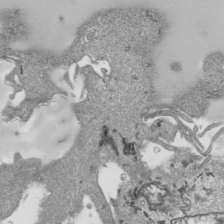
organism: Human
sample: Mitochondria in HCT116 cells